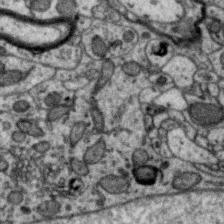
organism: Zebra finch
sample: Brain